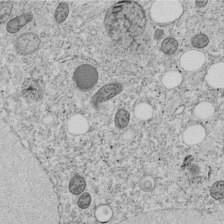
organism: C. elegans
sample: C. elegans embryo early stage